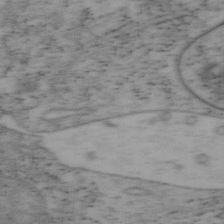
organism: Mouse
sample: OT-I killer T cells with ID8 ovarian cancer cells